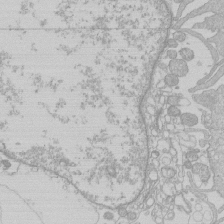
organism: Human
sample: Macrophage cells